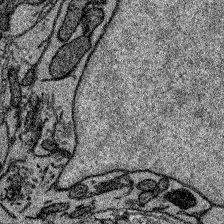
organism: Zebrafish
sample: Larval olfactory bulb